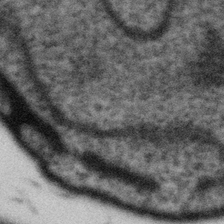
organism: Gemmata obscuriglobus